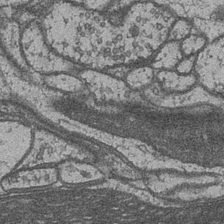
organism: Drosophila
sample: Optic medulla